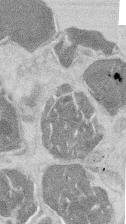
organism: Mouse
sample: T cell stromal cell synapse